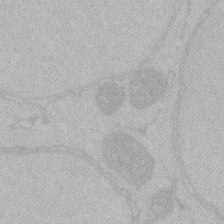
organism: Zebrafish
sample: Macrophage infected with Toxoplasma gondii